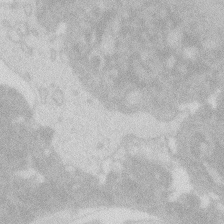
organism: Zebrafish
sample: Macrophage